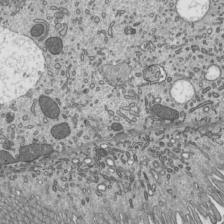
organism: Mouse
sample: Mouse epididymis efferent ductule cilia